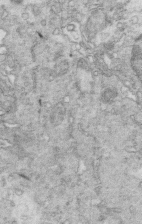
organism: Mouse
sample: Multiciliated cells